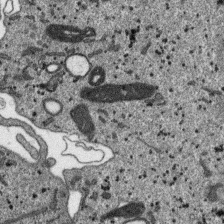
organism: Human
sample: Lung epithelial cells infected with SARS-CoV-2